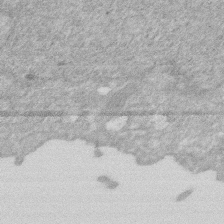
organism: Human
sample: HIV infected U937 cells